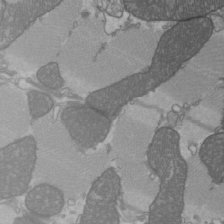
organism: C57BL Mouse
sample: Heart